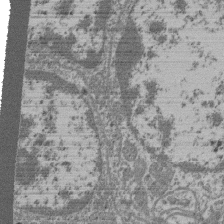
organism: Mouse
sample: Glomerulus